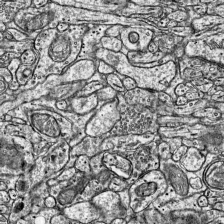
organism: Mouse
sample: Visual Cortex